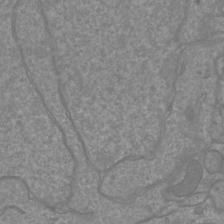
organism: Mouse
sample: Cortical neurons